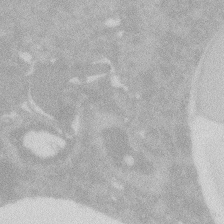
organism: Zebrafish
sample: Macrophage